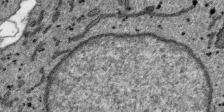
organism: Human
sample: Lung epithelial cells, uninfected (mock) control